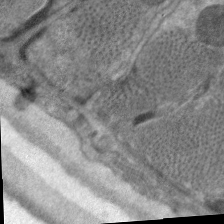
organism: C. elegans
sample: Pharynx